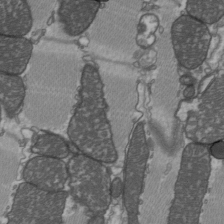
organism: C57BL Mouse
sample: Heart